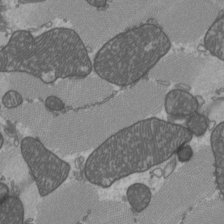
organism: C57BL Mouse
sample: Heart